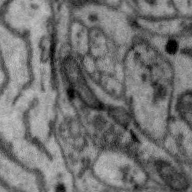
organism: Zebra finch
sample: Brain